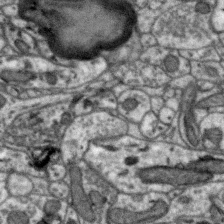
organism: Zebra finch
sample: Brain